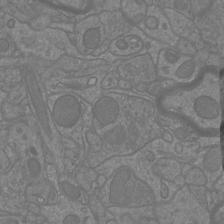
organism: Mouse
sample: Cortical neurons